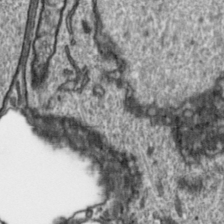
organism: Toxoplasma gondii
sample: Parasites in a vacuole inside a host cell